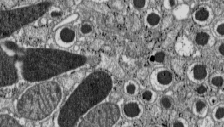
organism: C57BL Mouse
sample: Pancreatic islet